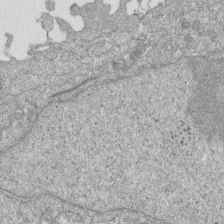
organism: Human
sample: HeLa cell HIV synapse